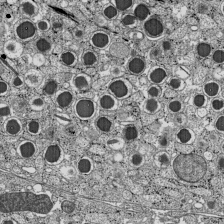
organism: C57BL Mouse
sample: Pancreatic islet